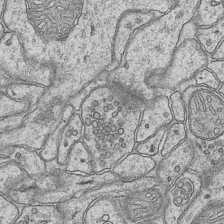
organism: Mouse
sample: CA1 Hippocampus